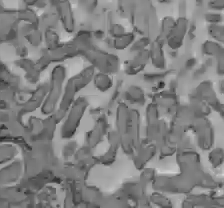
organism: C57BL Mouse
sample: Liver